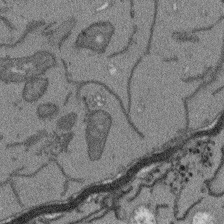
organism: Arabidopsis thaliana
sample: Root tip